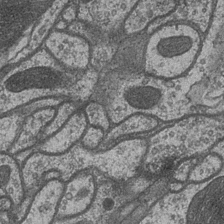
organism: Drosophila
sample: Optic medulla